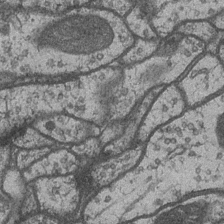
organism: Drosophila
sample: Optic medulla